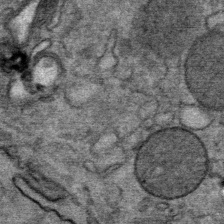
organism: Mouse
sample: Mouse Salivary gland